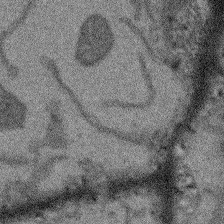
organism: Arabidopsis thaliana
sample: Root tip